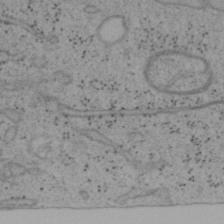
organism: Human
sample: HeLa cells